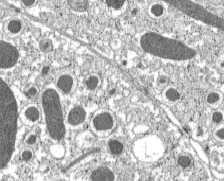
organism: C57BL Mouse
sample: Pancreatic islet